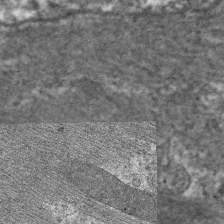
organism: C. elegans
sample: Pharynx